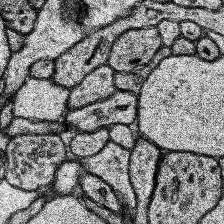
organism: Human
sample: Temporal Lobe